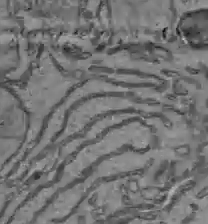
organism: C57BL Mouse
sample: Liver